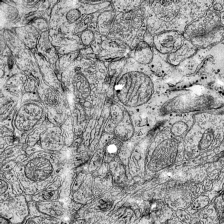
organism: Mouse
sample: Visual Cortex